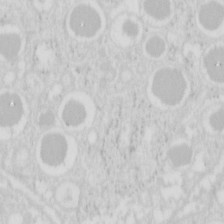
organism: Mouse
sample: Pancreas